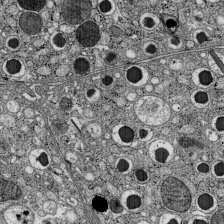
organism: C57BL Mouse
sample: Pancreatic islet